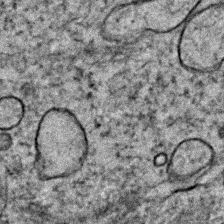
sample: Trachea